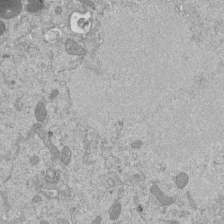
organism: Mouse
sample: ED-1 cell nuclei; centrioles